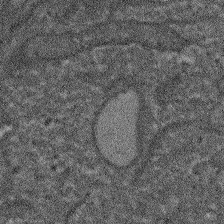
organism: Arabidopsis thaliana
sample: Root tip